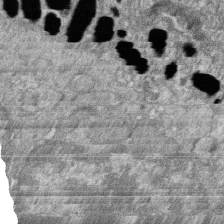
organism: Zebrafish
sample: Cilia; retinal pigment epithelium